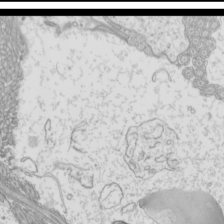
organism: Mouse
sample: Cilia; mouse epididymis